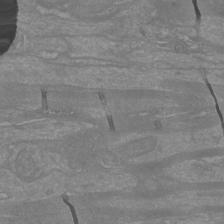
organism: Mouse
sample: Cortical neurons